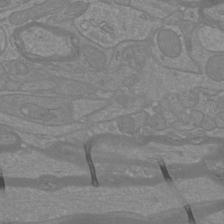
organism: Mouse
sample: Cortical neurons